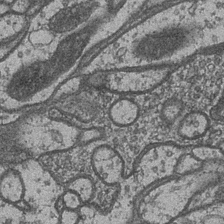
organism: Drosophila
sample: Optic medulla